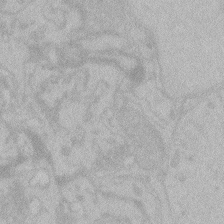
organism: Zebrafish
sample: Macrophage infected with Toxoplasma gondii